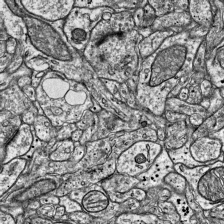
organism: Mouse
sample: Visual Cortex